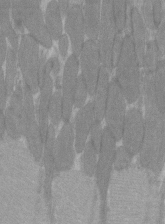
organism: C57BL Mouse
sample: Tibialis anterior muscle cell